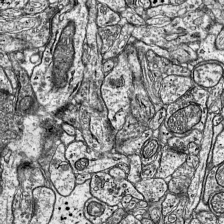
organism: Mouse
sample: Visual Cortex